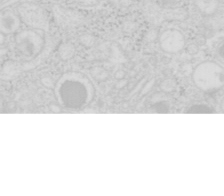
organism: Mouse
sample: Pancreas